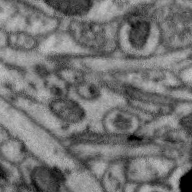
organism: Zebra finch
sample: Brain